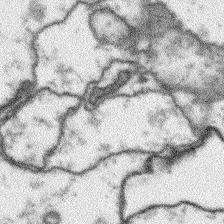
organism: Arabidopsis thaliana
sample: Root tip